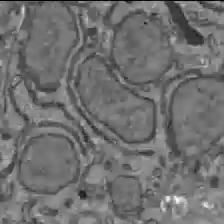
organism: C57BL Mouse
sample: Liver